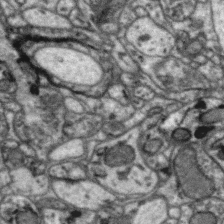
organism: Zebra finch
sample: Brain